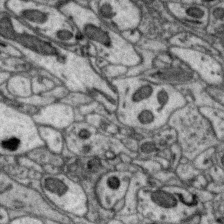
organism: Zebra finch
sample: Brain